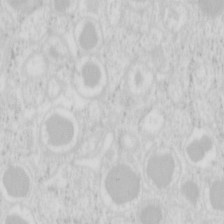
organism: Mouse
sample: Pancreas